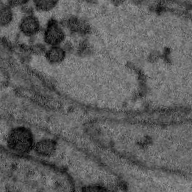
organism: Zebra finch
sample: Brain